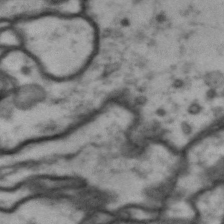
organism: Drosophila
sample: Brain